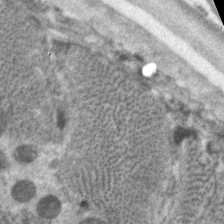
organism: C. elegans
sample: Pharynx